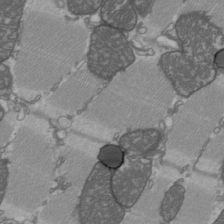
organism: C57BL Mouse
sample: Heart